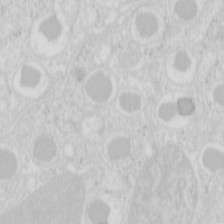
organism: Mouse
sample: Pancreas